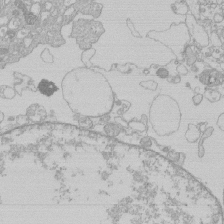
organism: Human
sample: Macrophage cells